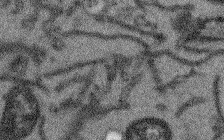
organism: Arabidopsis thaliana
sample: Root tip